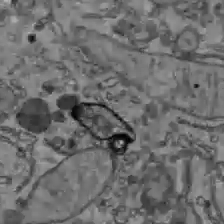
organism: C57BL Mouse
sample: Liver